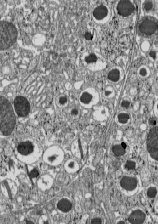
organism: C57BL Mouse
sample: Pancreatic islet